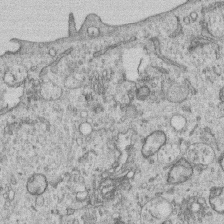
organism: Human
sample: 1205lu cells